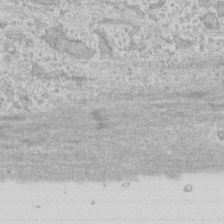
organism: Human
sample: CRL-1474